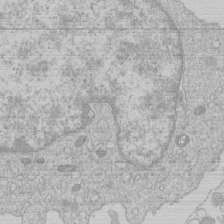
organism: Human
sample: Macrophage cells